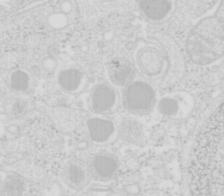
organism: Mouse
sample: Pancreas